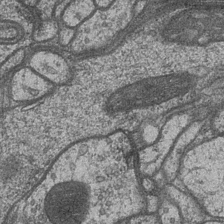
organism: Drosophila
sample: Optic medulla